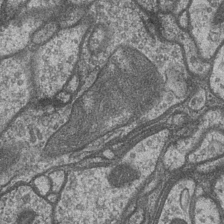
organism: Drosophila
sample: Optic medulla